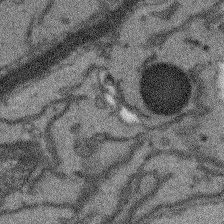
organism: Arabidopsis thaliana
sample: Root tip